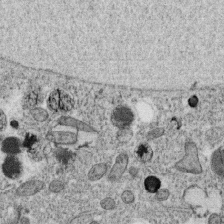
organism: C. elegans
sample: C. elegans oocyte; sperm cells